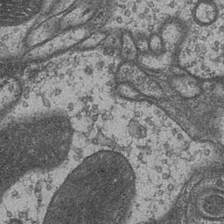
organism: Drosophila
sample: Optic medulla